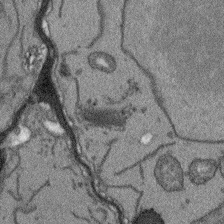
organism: Arabidopsis thaliana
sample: Root tip